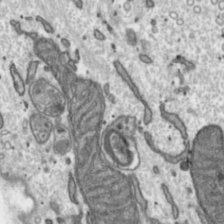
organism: Toxoplasma gondii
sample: Parasites in a vacuole inside a host cell